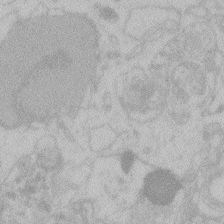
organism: Zebrafish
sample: Macrophage infected with Toxoplasma gondii